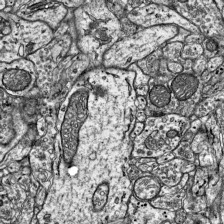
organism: Mouse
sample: Visual Cortex